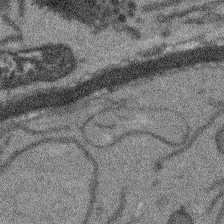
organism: Arabidopsis thaliana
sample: Root tip